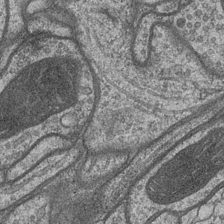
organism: Drosophila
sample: Optic medulla